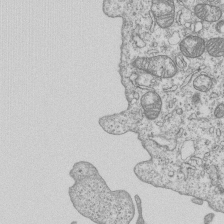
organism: Human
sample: MDA-MB-231 cells